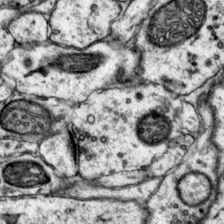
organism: Mouse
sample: Primary visual cortex